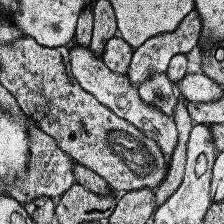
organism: Human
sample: Temporal Lobe